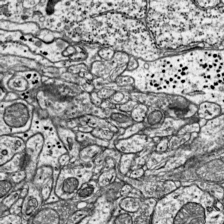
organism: Mouse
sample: Visual Cortex